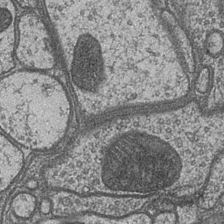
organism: Drosophila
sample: Optic medulla